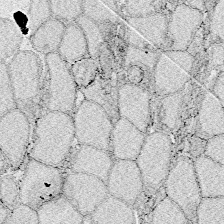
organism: Zebrafish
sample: Whole-Brain